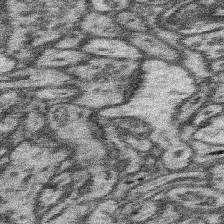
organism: Mouse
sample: Somatosensory cortex neuropil